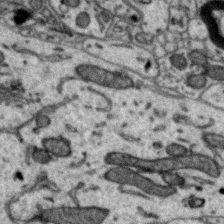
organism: Zebra finch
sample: Brain